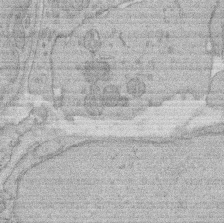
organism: Rat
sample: Salivary granule